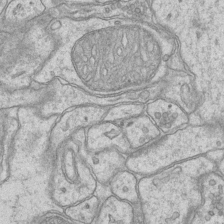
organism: Mouse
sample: CA1 Hippocampus